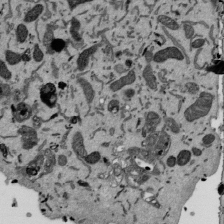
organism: Mouse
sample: ED-1 cell nuclei; centrioles